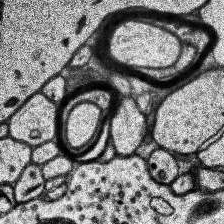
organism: Human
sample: Temporal Lobe